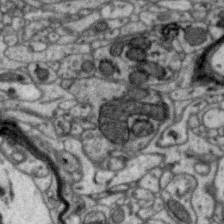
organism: Zebra finch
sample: Brain